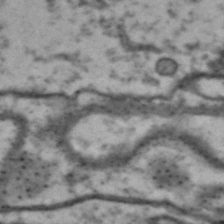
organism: Drosophila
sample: Brain